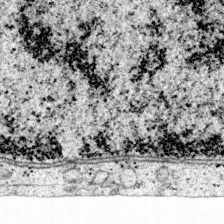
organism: Human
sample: HeLa cells